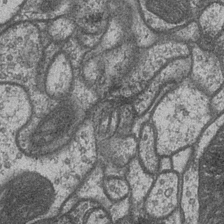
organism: Drosophila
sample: Optic medulla